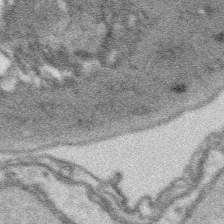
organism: Platynereis dumerilii